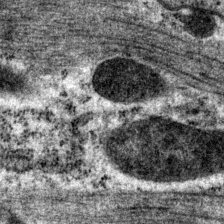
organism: P. pacificus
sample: Pharynx